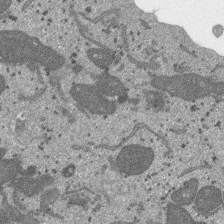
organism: Human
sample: Lung epithelial cells infected with SARS-CoV-2